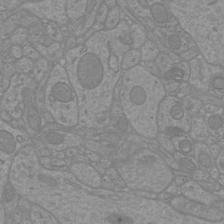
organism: Mouse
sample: Cortical neurons